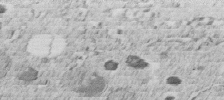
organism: C. elegans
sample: C. elegans embryo early stage